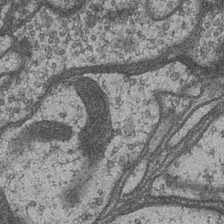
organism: Drosophila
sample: Optic medulla